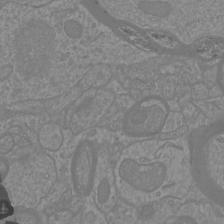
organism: Mouse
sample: Cortical neurons